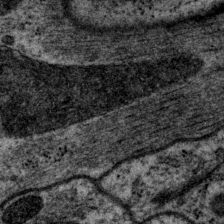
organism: P. pacificus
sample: Pharynx